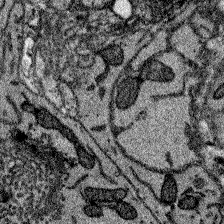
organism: Zebrafish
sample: Larval olfactory bulb